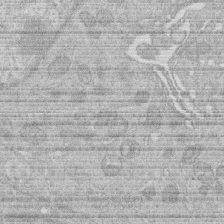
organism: Human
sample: Macrophage cells